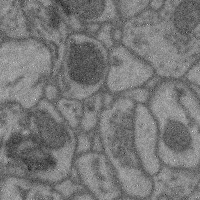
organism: Mouse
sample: Cerebral cortex